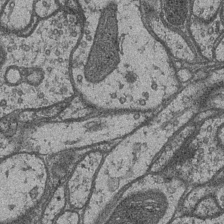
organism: Drosophila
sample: Optic medulla